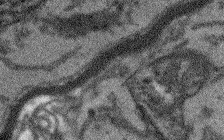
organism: Arabidopsis thaliana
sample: Root tip